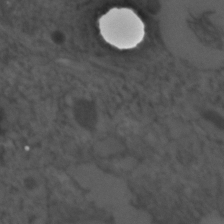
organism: C. elegans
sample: C. elegans embryo